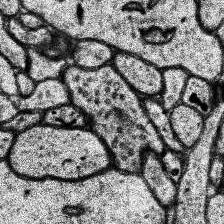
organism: Human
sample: Temporal Lobe